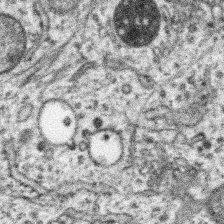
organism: Human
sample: HeLa cells